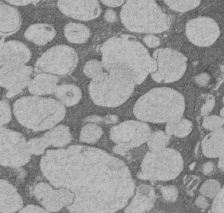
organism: Rat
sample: Salivary granule